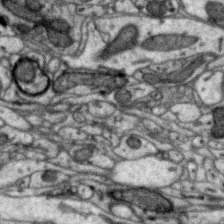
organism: Zebra finch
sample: Brain